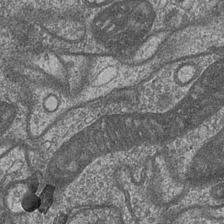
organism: Drosophila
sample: Optic medulla